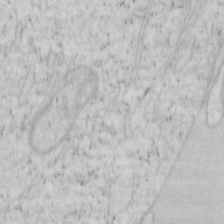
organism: Human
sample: HeLa cells